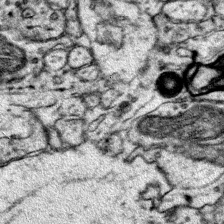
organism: Mouse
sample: Primary visual cortex